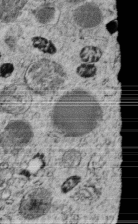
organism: C. elegans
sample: C. elegans embryo early stage